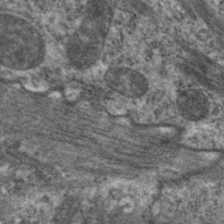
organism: C. elegans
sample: Pharynx